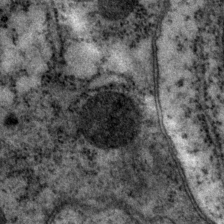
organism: P. pacificus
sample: Pharynx